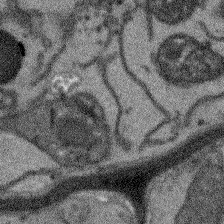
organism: Arabidopsis thaliana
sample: Root tip